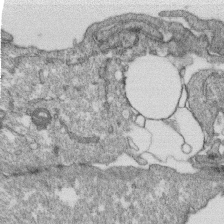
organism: African green monkey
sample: Vero E6 cells infected with SARS-CoV-2